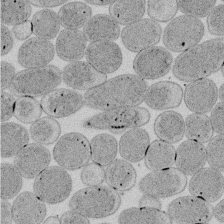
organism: E. coli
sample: Bacterial nucleoid